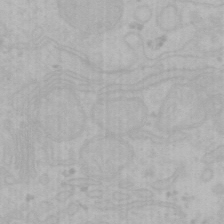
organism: Mouse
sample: Choroid plexus